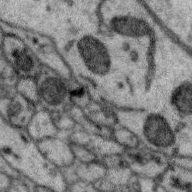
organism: Zebra finch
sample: Brain